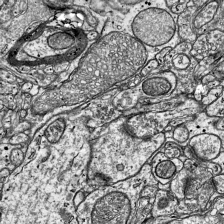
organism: Mouse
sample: Visual Cortex